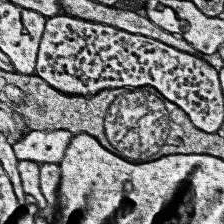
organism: Human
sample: Temporal Lobe